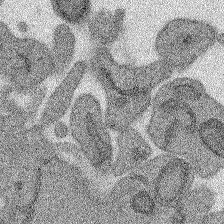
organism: Human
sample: HeLa cells